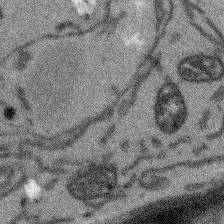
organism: Arabidopsis thaliana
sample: Root tip